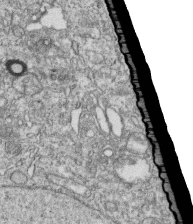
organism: Human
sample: HeLa cell HIV synapse